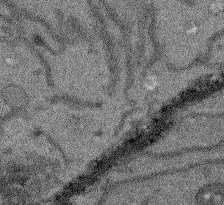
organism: Arabidopsis thaliana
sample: Root tip